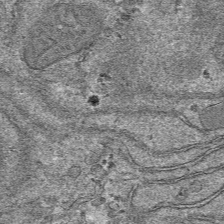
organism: Mouse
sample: Mouse hepatocytes